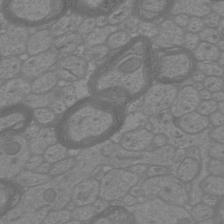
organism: Mouse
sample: Cortical neurons